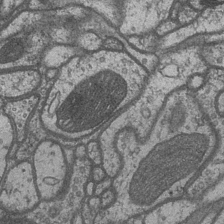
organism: Drosophila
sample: Optic medulla